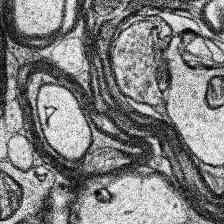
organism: Human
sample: Temporal Lobe